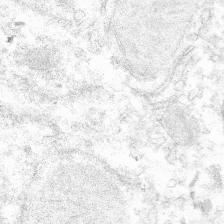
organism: Mouse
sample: Mouse hepatocytes